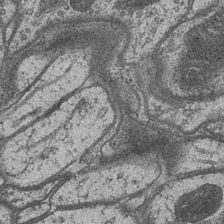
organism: Drosophila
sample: Optic medulla